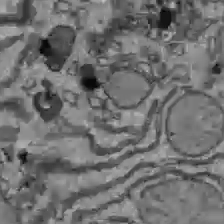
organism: C57BL Mouse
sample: Liver